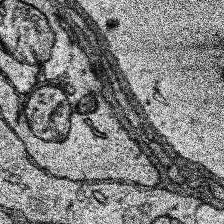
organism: Human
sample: Temporal Lobe